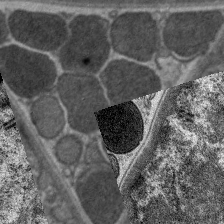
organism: C. elegans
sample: Pharynx